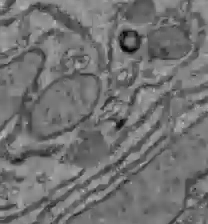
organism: C57BL Mouse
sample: Liver